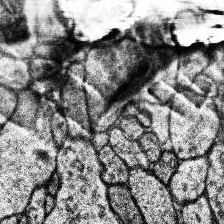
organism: Human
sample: Temporal Lobe